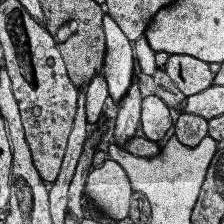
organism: Human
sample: Temporal Lobe